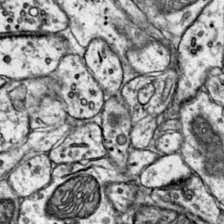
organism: Mouse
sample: Primary visual cortex